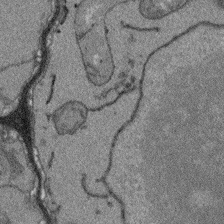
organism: Arabidopsis thaliana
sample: Root tip